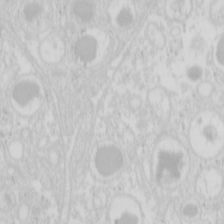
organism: Mouse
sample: Pancreas